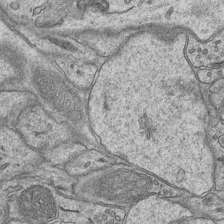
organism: Mouse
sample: CA1 Hippocampus